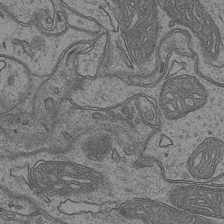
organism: Mouse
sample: CA1 Hippocampus